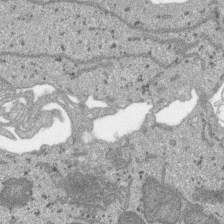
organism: Human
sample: Lung epithelial cells infected with SARS-CoV-2